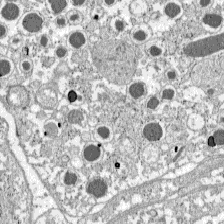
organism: C57BL Mouse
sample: Pancreatic islet